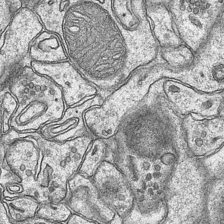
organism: Mouse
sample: CA1 Hippocampus